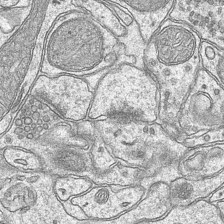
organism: Mouse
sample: CA1 Hippocampus